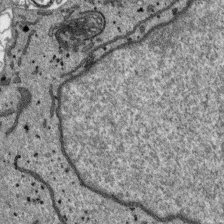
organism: Human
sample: Lung epithelial cells, uninfected (mock) control